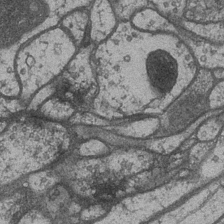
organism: Drosophila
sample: Optic medulla